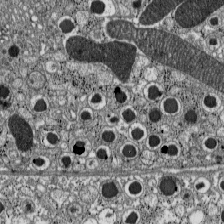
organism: C57BL Mouse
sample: Pancreatic islet